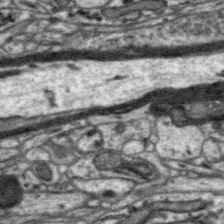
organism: Zebra finch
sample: Brain